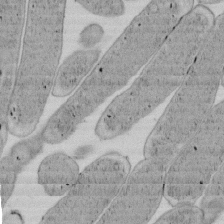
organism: E. coli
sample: Bacterial nucleoid